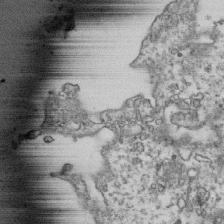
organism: Human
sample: Activated Jurkat CD4+ T cells